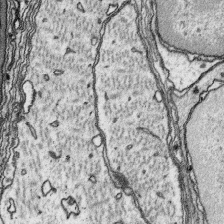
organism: Platynereis dumerilii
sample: Parapodia